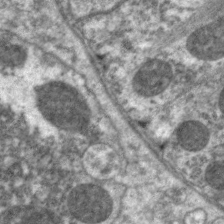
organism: C. elegans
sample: Pharynx